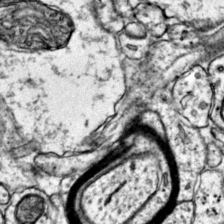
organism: Mouse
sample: Primary visual cortex